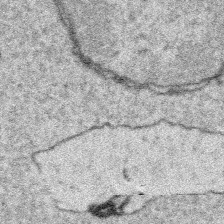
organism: Platynereis dumerilii